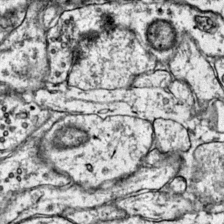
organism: Mouse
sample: Primary visual cortex